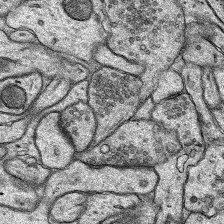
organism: Rat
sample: Hippocampus